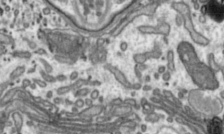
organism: Toxoplasma gondii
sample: Parasites in a vacuole inside a host cell